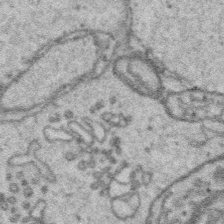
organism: Platynereis dumerilii